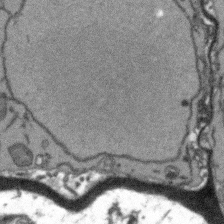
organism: Arabidopsis thaliana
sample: Root tip